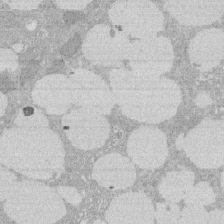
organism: Rat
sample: Salivary granule